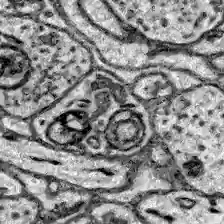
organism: Zebrafish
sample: Brain